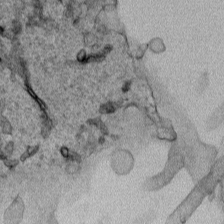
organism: Human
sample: Mitochondria in HCT116 cells